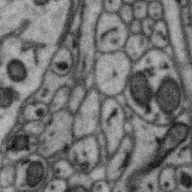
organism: Zebra finch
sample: Brain